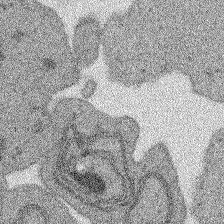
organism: Human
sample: HeLa cells